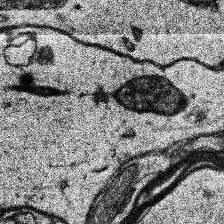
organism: Human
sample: Temporal Lobe